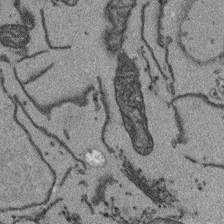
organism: Arabidopsis thaliana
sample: Root tip